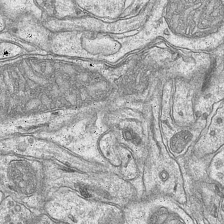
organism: Mouse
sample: CA1 Hippocampus